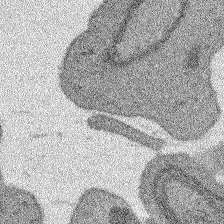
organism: Human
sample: HeLa cells